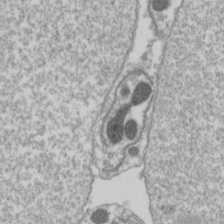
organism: Drosophila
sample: Cell division; meiosis; drosophila spermatocytes